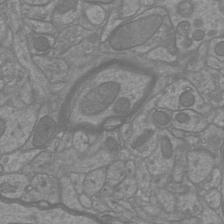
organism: Mouse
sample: Cortical neurons